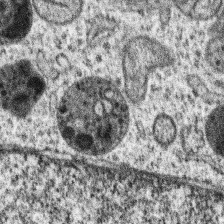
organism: Human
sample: HeLa cells